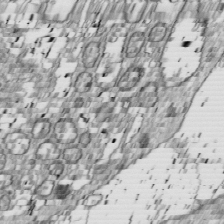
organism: Drosophila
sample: Cell division; meiosis; drosophila spermatocytes